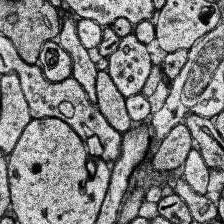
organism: Human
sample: Temporal Lobe